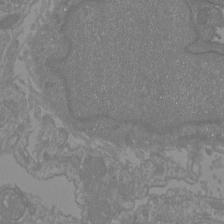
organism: Mouse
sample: Cortical neurons